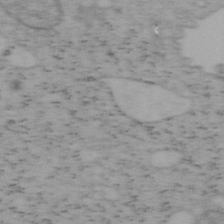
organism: Mouse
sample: OT-I killer T cells with ID8 ovarian cancer cells